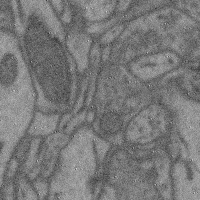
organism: Mouse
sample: Cerebral cortex